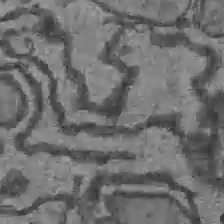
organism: C57BL Mouse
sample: Liver